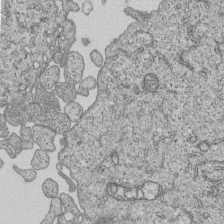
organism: Human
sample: MDA-MB-231 cells